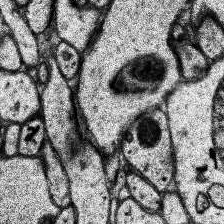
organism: Human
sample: Temporal Lobe